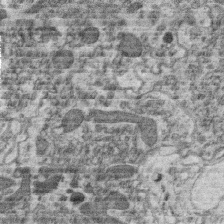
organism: C. elegans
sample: C. elegans oocyte; sperm cells